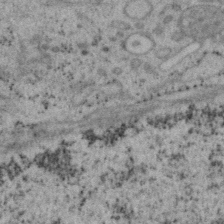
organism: Human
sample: HeLa cells